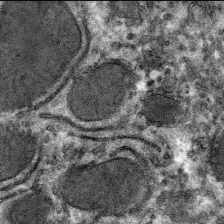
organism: Mouse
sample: Mouse hepatocytes